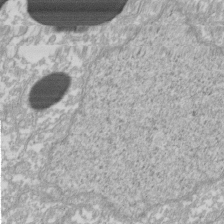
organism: Xenopus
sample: Cilia; centrioles in frog embryo cells